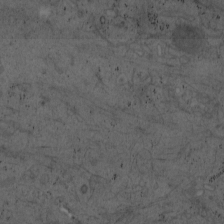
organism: Mouse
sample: OT-I killer T cells with ID8 ovarian cancer cells